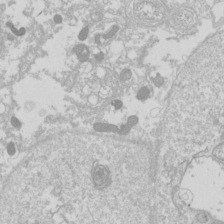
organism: Drosophila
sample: Cell division; meiosis; drosophila spermatocytes